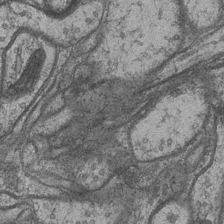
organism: Drosophila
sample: Optic medulla